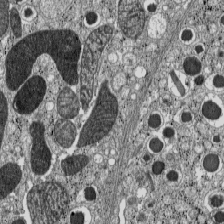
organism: C57BL Mouse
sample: Pancreatic islet